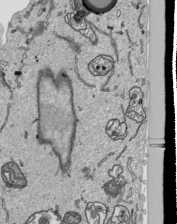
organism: Human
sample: Mitochondria in HCT116 cells